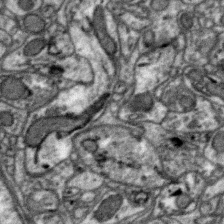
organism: Zebra finch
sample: Brain